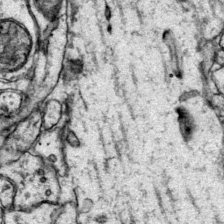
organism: Mouse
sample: Primary visual cortex